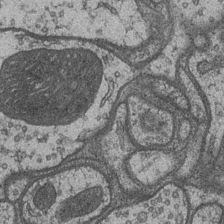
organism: Drosophila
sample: Optic medulla